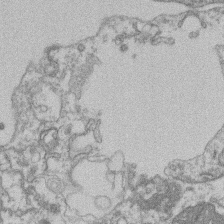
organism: Mouse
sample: T cell stromal cell synapse